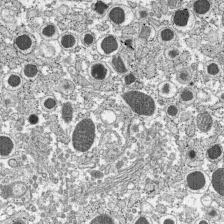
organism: C57BL Mouse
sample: Pancreatic islet